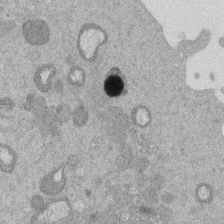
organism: Mouse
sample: Dividing mouse embryo 1 cell stage